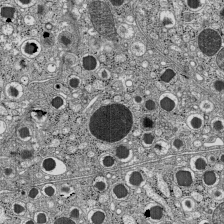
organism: C57BL Mouse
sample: Pancreatic islet